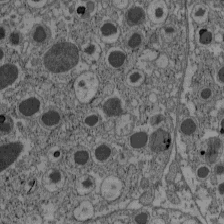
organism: C57BL Mouse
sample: Pancreatic islet